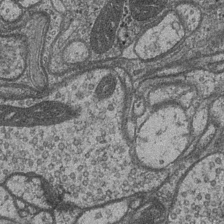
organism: Drosophila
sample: Optic medulla